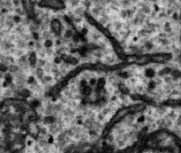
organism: Human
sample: HeLa cells